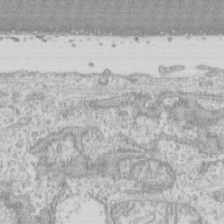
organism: Human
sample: CRL-1474